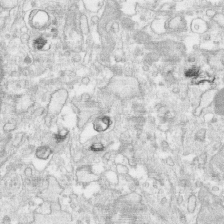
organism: Human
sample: CRL-1474